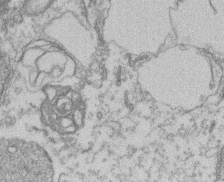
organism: Mouse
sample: T cell stromal cell synapse